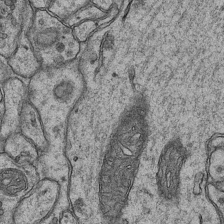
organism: Mouse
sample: CA1 Hippocampus